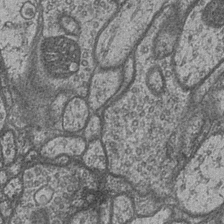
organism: Drosophila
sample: Optic medulla